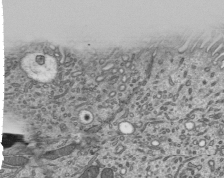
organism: Mouse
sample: Mouse epididymis efferent ductule cilia